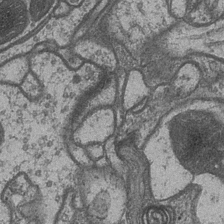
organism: Drosophila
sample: Optic medulla